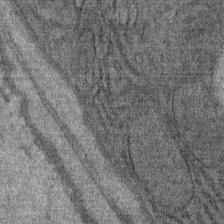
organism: Mouse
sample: Mouse Salivary gland